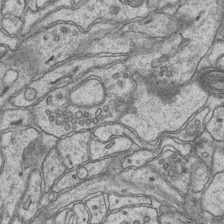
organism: Mouse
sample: CA1 Hippocampus